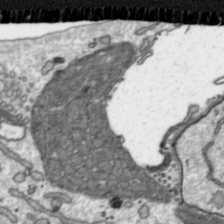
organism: Toxoplasma gondii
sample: Parasites in a vacuole inside a host cell